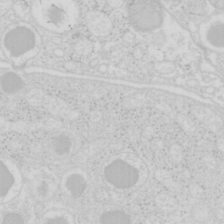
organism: Mouse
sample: Pancreas